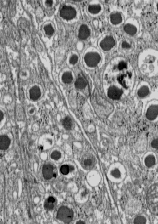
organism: C57BL Mouse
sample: Pancreatic islet